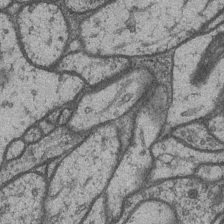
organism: Drosophila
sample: Optic medulla